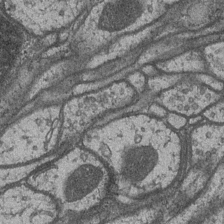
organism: Drosophila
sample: Optic medulla